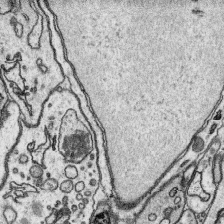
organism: Platynereis dumerilii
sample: Parapodia